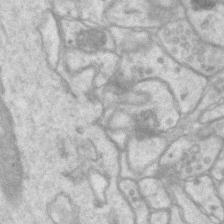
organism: Mouse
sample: CA1 Hippocampus